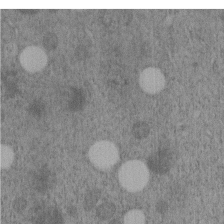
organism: C. elegans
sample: C. elegans embryo early stage